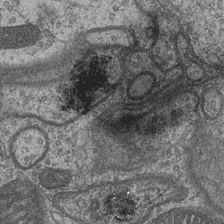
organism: Drosophila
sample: Optic medulla